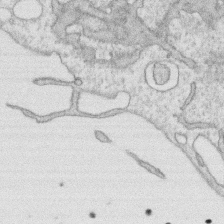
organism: Human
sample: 1205lu cells